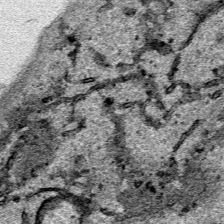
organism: Human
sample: Mitochondria in HCT116 cells